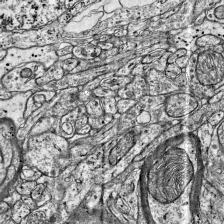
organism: Mouse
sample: Visual Cortex